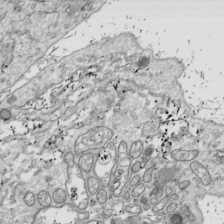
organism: Drosophila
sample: Cell division; meiosis; drosophila spermatocytes